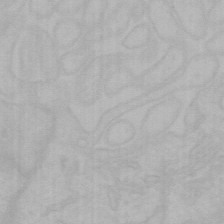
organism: Mouse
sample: Choroid plexus